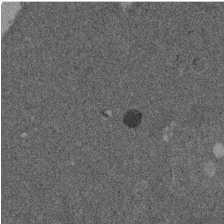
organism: Mouse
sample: Dividing mouse embryo 1 cell stage